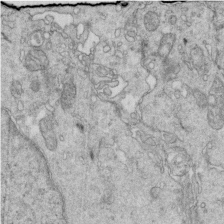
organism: Mouse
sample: Multiciliated cells